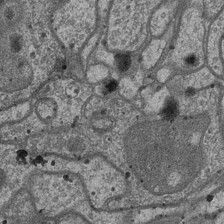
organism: Drosophila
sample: Optic medulla